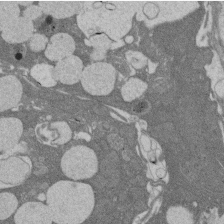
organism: Rat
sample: Salivary granule